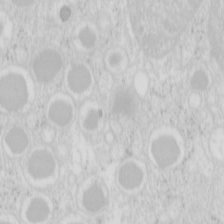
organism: Mouse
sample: Pancreas